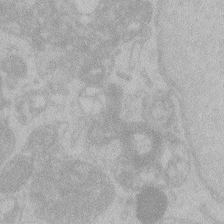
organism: Zebrafish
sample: Macrophage infected with Toxoplasma gondii